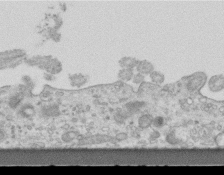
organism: Mouse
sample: Centriole in ependymal cells